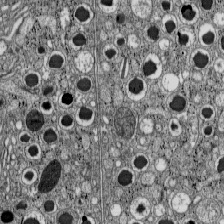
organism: C57BL Mouse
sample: Pancreatic islet